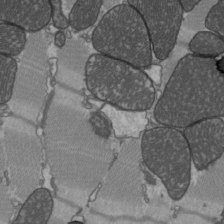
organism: C57BL Mouse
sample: Heart